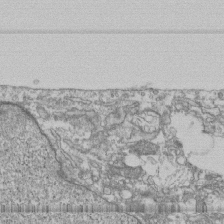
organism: Human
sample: Fibroblast cells